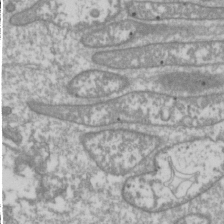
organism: Drosophila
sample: Cell division; meiosis; drosophila spermatocytes